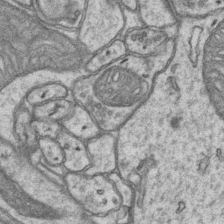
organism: Mouse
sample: CA1 Hippocampus